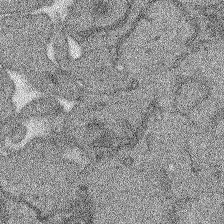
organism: Human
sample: HeLa cells